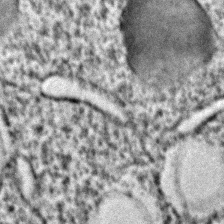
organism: C. elegans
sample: C. elegans embryo